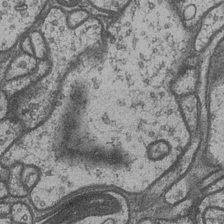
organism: Drosophila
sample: Optic medulla